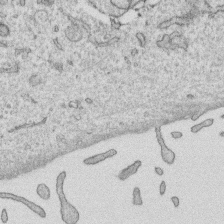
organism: Human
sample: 1205lu cells